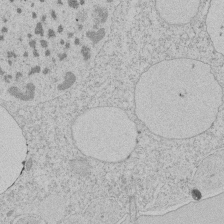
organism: Tetrahymena